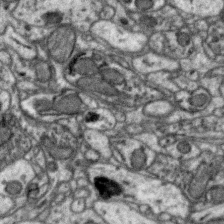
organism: Zebra finch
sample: Brain